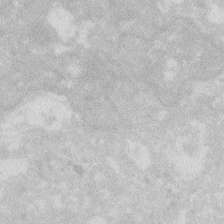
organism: Zebrafish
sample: Macrophage